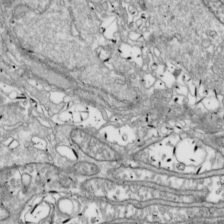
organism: Drosophila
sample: Cell division; meiosis; drosophila spermatocytes